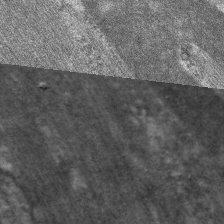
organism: C. elegans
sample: Pharynx